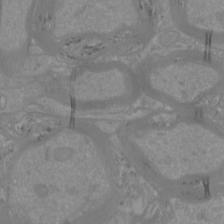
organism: Mouse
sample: Cortical neurons